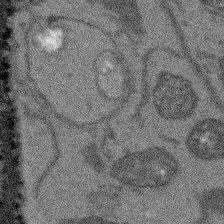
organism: Arabidopsis thaliana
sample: Root tip